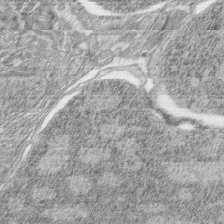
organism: Zebrafish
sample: synaptic ribbons in rod cells and cone cells